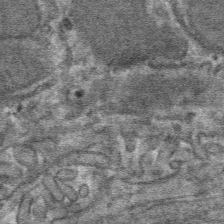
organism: Mouse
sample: Mouse hepatocytes